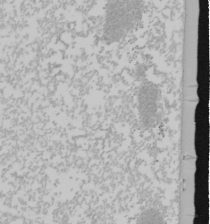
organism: Mouse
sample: Cancer cell death in ED-1 cells